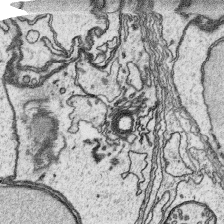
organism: Platynereis dumerilii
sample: Parapodia